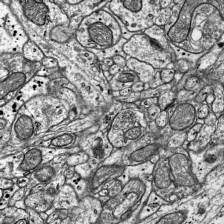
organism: Mouse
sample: Visual Cortex